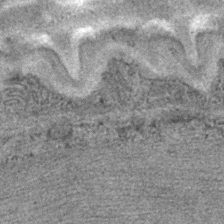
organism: C. elegans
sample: C. elegans embryo